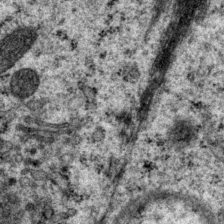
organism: P. pacificus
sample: Pharynx